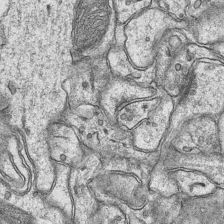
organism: Mouse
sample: CA1 Hippocampus